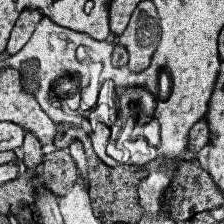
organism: Human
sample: Temporal Lobe